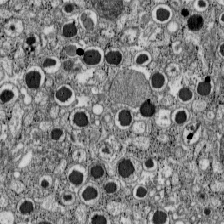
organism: C57BL Mouse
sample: Pancreatic islet